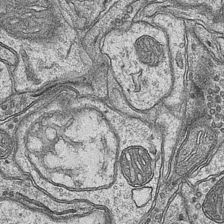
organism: Mouse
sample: CA1 Hippocampus